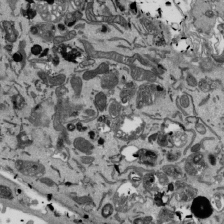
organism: Mouse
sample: ED-1 cell nuclei; centrioles